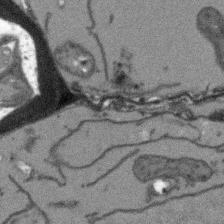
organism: Arabidopsis thaliana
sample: Root tip